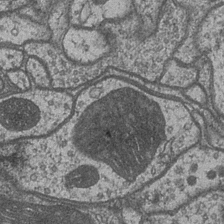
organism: Drosophila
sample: Optic medulla